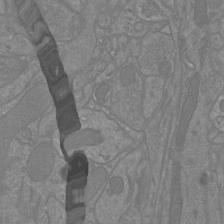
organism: Mouse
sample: Cortical neurons